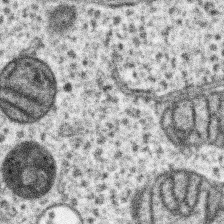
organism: Human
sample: HeLa cells